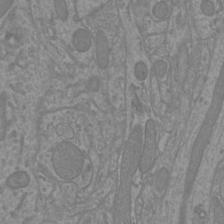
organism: Mouse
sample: Cortical neurons